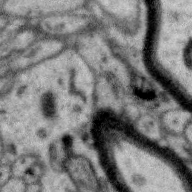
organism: Zebra finch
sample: Brain